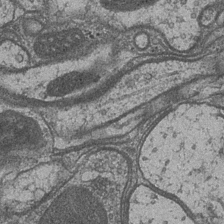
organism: Drosophila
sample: Optic medulla